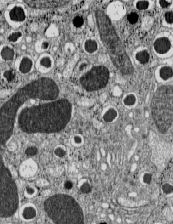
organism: C57BL Mouse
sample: Pancreatic islet